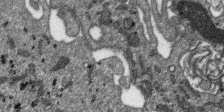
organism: Human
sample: Lung epithelial cells infected with SARS-CoV-2